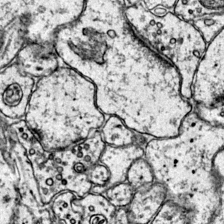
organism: Mouse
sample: Primary visual cortex